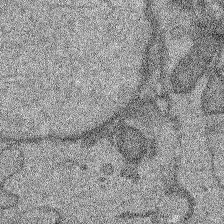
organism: Human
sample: HeLa cells